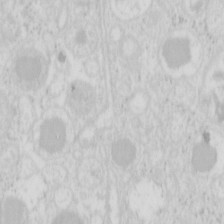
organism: Mouse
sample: Pancreas